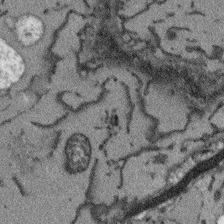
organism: Arabidopsis thaliana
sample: Root tip